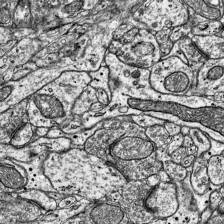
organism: Mouse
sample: Visual Cortex